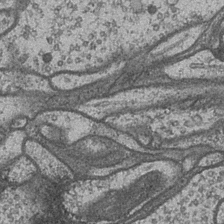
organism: Drosophila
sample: Optic medulla